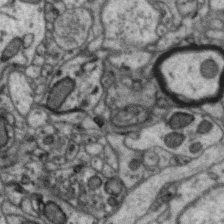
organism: Zebra finch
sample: Brain